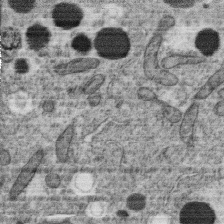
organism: C. elegans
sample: C. elegans oocyte; sperm cells